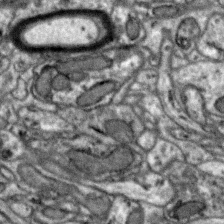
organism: Zebra finch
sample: Brain